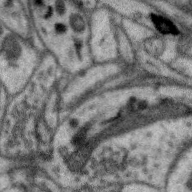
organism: Zebra finch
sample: Brain